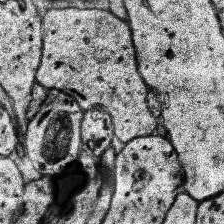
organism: Human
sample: Temporal Lobe